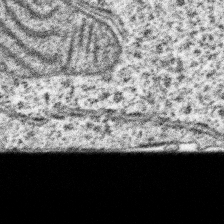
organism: Human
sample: HeLa cells